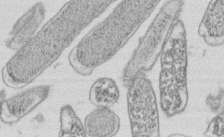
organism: E. coli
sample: Bacterial nucleoid